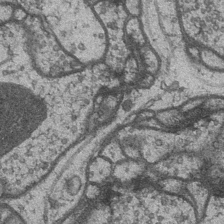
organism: Drosophila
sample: Optic medulla